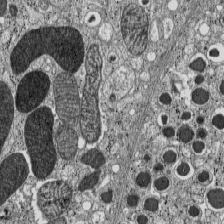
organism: C57BL Mouse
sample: Pancreatic islet